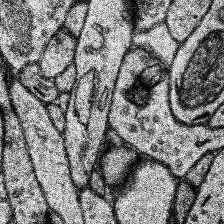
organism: Human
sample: Temporal Lobe